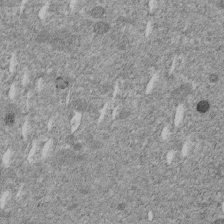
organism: C. elegans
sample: C. elegans embryo early stage